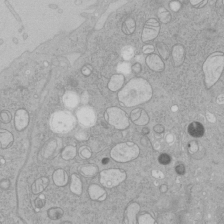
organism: Human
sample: Mitochondria in HCT116 cells